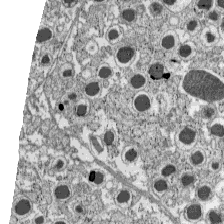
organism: C57BL Mouse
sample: Pancreatic islet